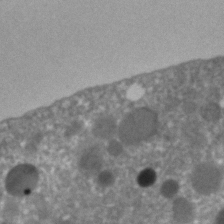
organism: C. elegans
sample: C. elegans embryo